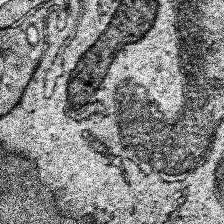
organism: Human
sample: Temporal Lobe